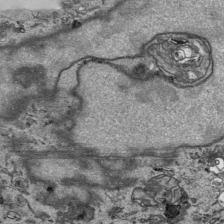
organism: Human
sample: Mitochondria in HCT116 cells